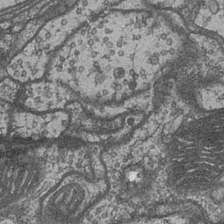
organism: Drosophila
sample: Optic medulla